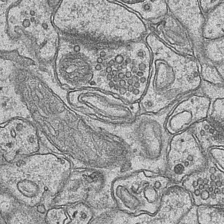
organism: Mouse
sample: CA1 Hippocampus